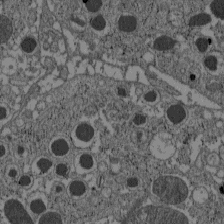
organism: C57BL Mouse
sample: Pancreatic islet